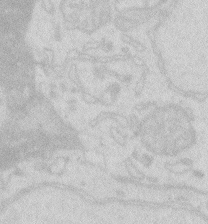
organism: Zebrafish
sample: Macrophage